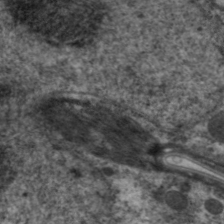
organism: C. elegans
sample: Pharynx